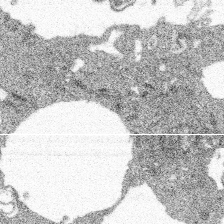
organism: Spongilla lacustris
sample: Multiple